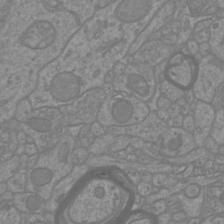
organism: Mouse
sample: Cortical neurons